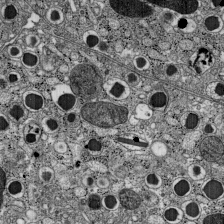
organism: C57BL Mouse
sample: Pancreatic islet